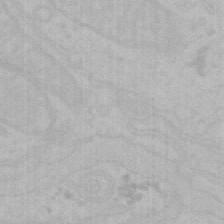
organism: Mouse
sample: Choroid plexus